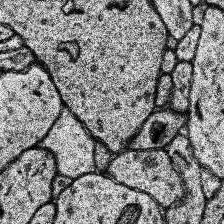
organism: Human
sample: Temporal Lobe